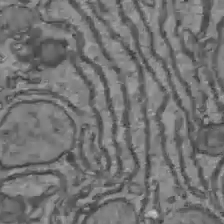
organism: C57BL Mouse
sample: Liver